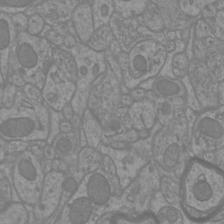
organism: Mouse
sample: Cortical neurons